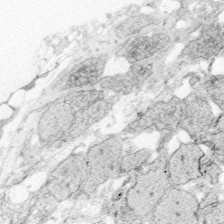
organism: Zebrafish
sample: Whole-Brain